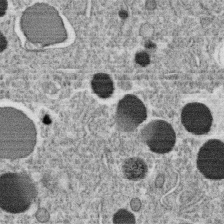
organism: C. elegans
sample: C. elegans oocyte; sperm cells